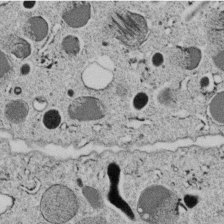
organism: C. elegans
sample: C. elegans embryo early stage